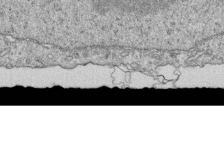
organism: Human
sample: HeLa cell HIV synapse